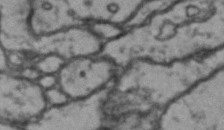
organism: Drosophila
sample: Brain